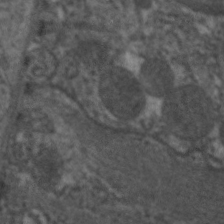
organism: C. elegans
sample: Pharynx